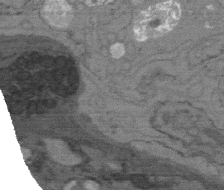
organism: C. elegans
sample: AFD neurons C. elegans